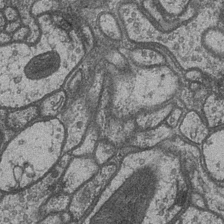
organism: Drosophila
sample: Optic medulla